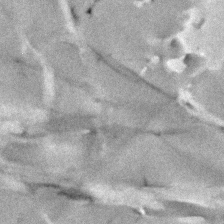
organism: Human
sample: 1205lu cells